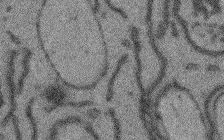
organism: Arabidopsis thaliana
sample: Root tip